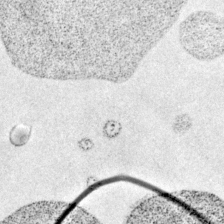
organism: Mouse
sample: Primary visual cortex